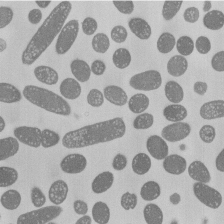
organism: E. coli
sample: Bacterial nucleoid